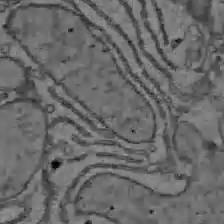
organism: C57BL Mouse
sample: Liver